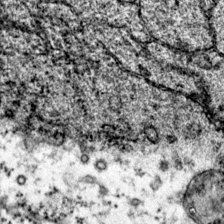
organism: Mouse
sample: Primary visual cortex